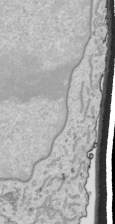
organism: Human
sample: Mitochondria in HCT116 cells